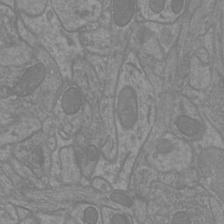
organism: Mouse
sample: Cortical neurons